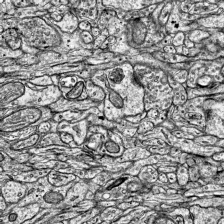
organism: Mouse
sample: Visual Cortex